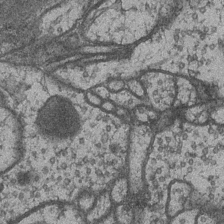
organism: Drosophila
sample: Optic medulla